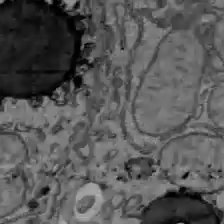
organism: C57BL Mouse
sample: Liver